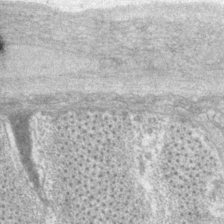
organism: P. pacificus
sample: Pharynx